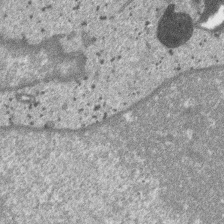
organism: Human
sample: Lung epithelial cells infected with SARS-CoV-2